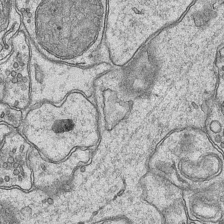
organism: Mouse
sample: CA1 Hippocampus